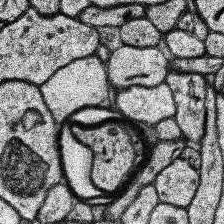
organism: Human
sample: Temporal Lobe